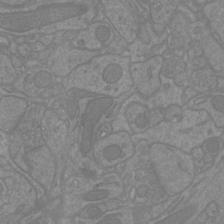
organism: Mouse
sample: Cortical neurons